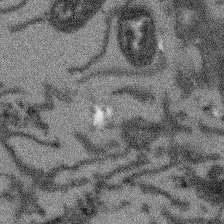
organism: Arabidopsis thaliana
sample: Root tip